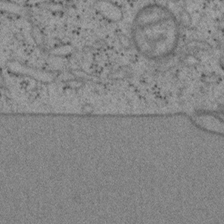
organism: Human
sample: HeLa cells